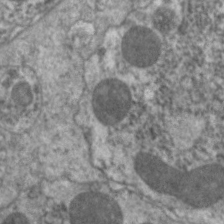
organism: C. elegans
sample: Pharynx